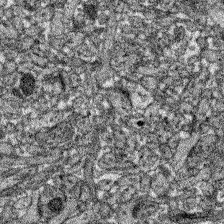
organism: Zebrafish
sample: Larval olfactory bulb